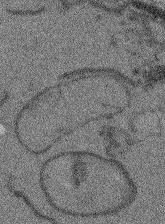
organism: Arabidopsis thaliana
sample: Root tip